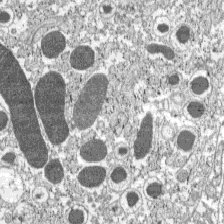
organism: C57BL Mouse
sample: Pancreatic islet